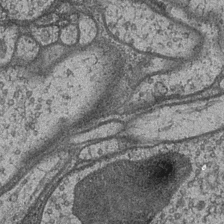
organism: Drosophila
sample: Optic medulla